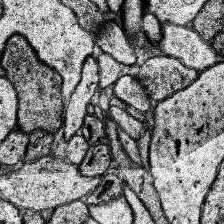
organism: Human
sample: Temporal Lobe